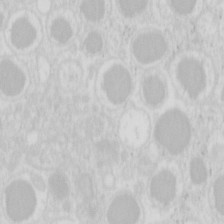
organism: Mouse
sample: Pancreas